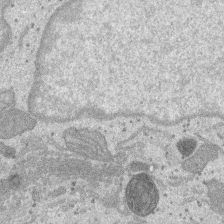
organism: Human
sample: Lung epithelial cells infected with SARS-CoV-2